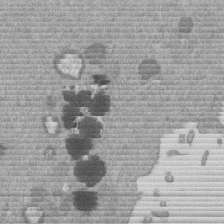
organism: Mouse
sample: Dividing mouse embryo 1 cell stage